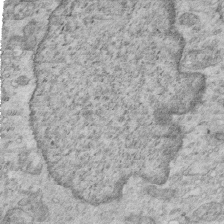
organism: Mouse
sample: Multiciliated cells